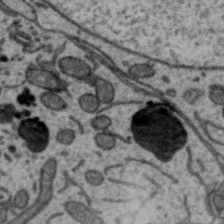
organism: Zebra finch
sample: Brain